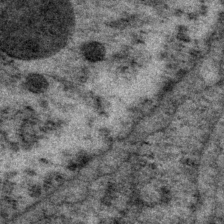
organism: P. pacificus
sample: Pharynx